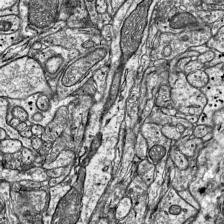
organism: Mouse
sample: Visual Cortex